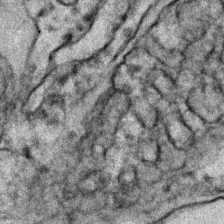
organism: Zebrafish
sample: Zebrafish embryo